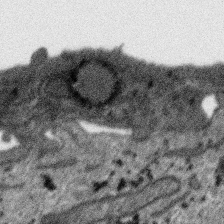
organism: Human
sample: Lung epithelial cells infected with SARS-CoV-2